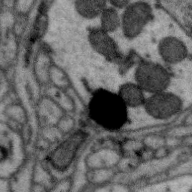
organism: Zebra finch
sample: Brain